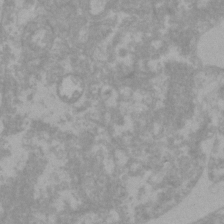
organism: Zebrafish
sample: Zebrafish embryo